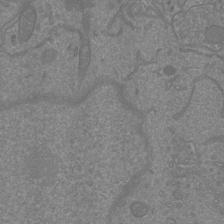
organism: Mouse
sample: Cortical neurons